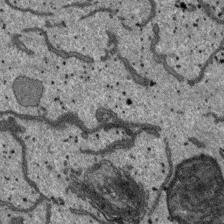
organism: Human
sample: Lung epithelial cells, uninfected (mock) control